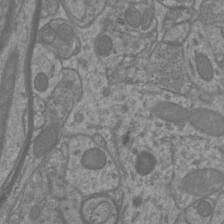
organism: Mouse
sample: Cortical neurons